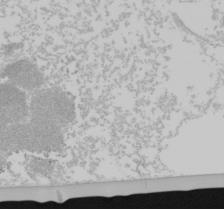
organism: Mouse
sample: Cancer cell death in ED-1 cells